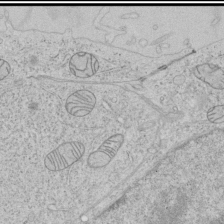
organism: Human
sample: Mitochondria in HCT116 cells